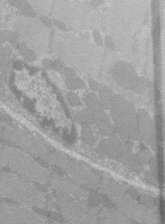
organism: C57BL Mouse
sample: Tibialis anterior muscle cell